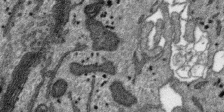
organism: Human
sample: Lung epithelial cells, uninfected (mock) control